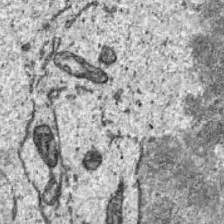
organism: Human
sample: HeLa cells